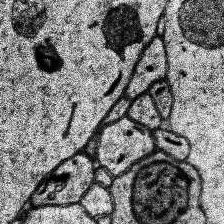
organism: Human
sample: Temporal Lobe